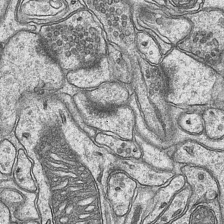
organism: Mouse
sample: CA1 Hippocampus